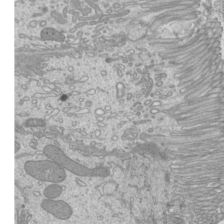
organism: Mouse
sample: Cilia; mouse epididymis